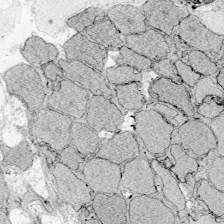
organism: Zebrafish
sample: Whole-Brain